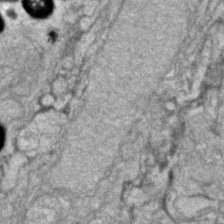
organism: Zebrafish